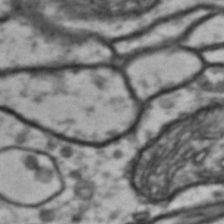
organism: Drosophila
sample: Brain